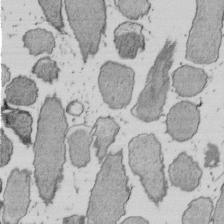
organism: E. coli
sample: Bacterial nucleoid